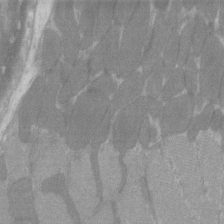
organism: C57BL Mouse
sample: Tibialis anterior muscle cell